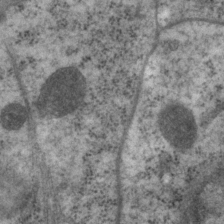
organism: P. pacificus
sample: Pharynx